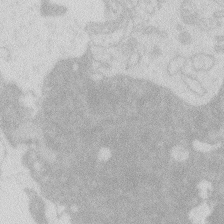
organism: Zebrafish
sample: Macrophage